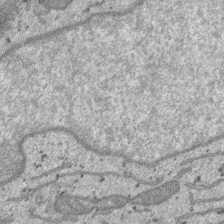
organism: Human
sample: Lung epithelial cells infected with SARS-CoV-2